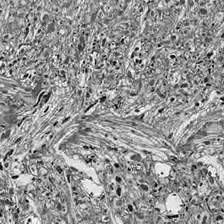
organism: Drosophila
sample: Optic lobe